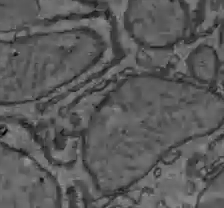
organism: C57BL Mouse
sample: Liver